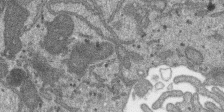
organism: Human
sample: Lung epithelial cells infected with SARS-CoV-2